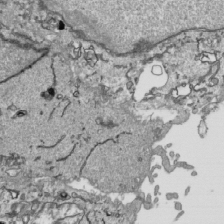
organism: Human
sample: Mitochondria in HCT116 cells